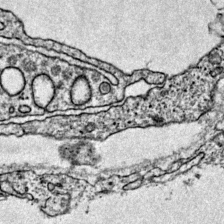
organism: Mouse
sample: Primary visual cortex